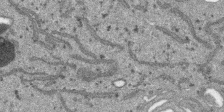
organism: Human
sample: Lung epithelial cells infected with SARS-CoV-2